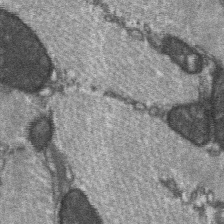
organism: C57BL Mouse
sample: Soleus